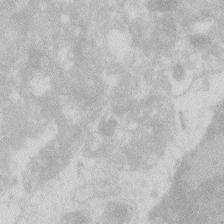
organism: Zebrafish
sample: Macrophage